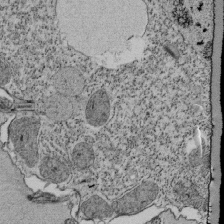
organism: Tetrahymena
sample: Cilia in tetrahymena